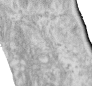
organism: Human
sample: Centriole in RPE cells